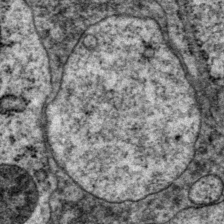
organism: P. pacificus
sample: Pharynx